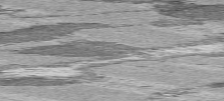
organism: C57BL Mouse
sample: Heart